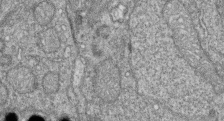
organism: Zebrafish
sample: Cilia; retinal pigment epithelium